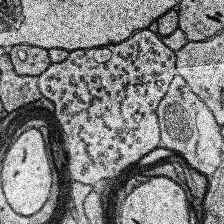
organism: Human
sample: Temporal Lobe